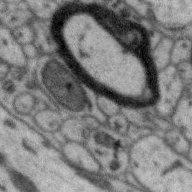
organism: Zebra finch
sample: Brain